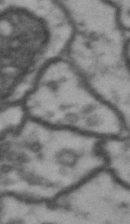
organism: Drosophila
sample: Brain